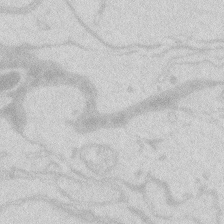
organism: Zebrafish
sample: Macrophage